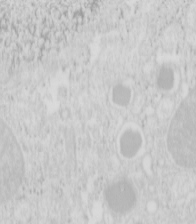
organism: Mouse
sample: Pancreas